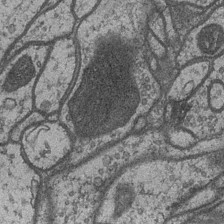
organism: Drosophila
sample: Optic medulla